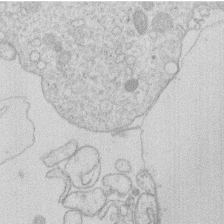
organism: Human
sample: Macrophage cells